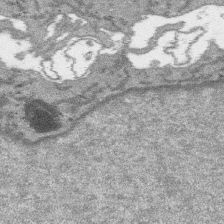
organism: Human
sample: Lung epithelial cells infected with SARS-CoV-2